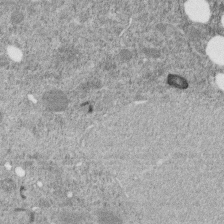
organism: C. elegans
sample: C. elegans embryo early stage